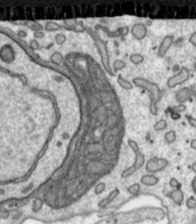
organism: Toxoplasma gondii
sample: Parasites in a vacuole inside a host cell